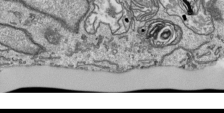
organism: Human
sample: Mitochondria in HCT116 cells